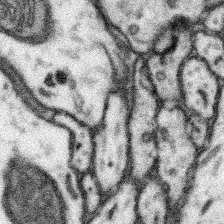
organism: Mouse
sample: Somatosensory cortex neuropil